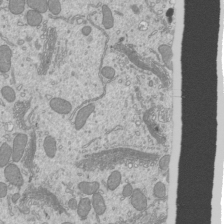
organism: Mouse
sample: Cilia; mouse epididymis